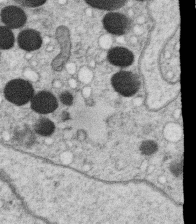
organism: C. elegans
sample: C. elegans oocyte; sperm cells